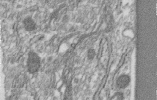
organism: Human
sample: Centriole in RPE cells